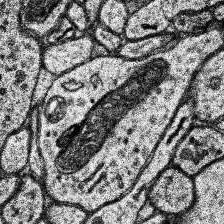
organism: Human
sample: Temporal Lobe